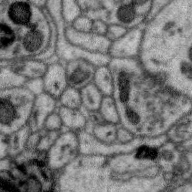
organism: Zebra finch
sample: Brain